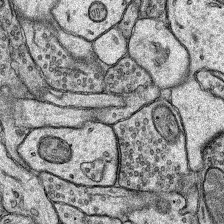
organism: Rat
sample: Hippocampus